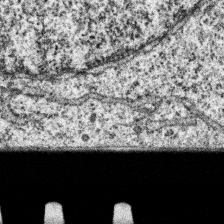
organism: Human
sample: HeLa cells